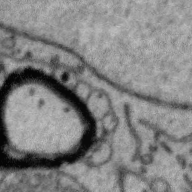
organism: Zebra finch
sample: Brain